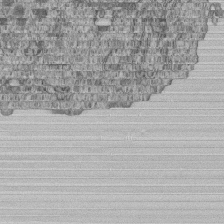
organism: Human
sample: MDA-MB-231 cells